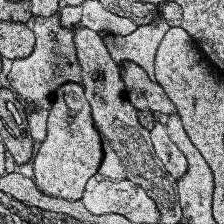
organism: Human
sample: Temporal Lobe